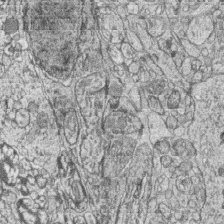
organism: Zebrafish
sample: synaptic ribbons in rod cells and cone cells